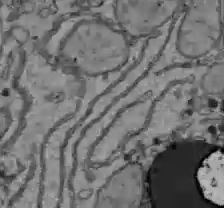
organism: C57BL Mouse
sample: Liver